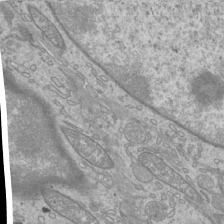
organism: Mouse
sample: Cilia; mouse epididymis